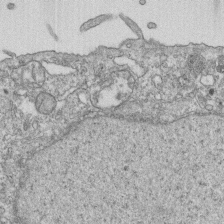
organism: Human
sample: HeLa cell HIV synapse